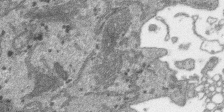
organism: Human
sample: Lung epithelial cells infected with SARS-CoV-2